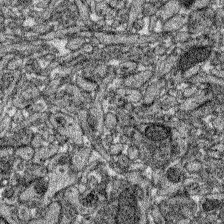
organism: Zebrafish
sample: Larval olfactory bulb